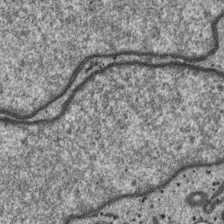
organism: Human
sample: Lung epithelial cells infected with SARS-CoV-2